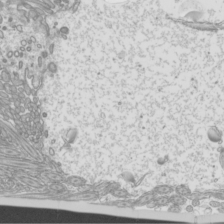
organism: Mouse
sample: Cilia; mouse epididymis